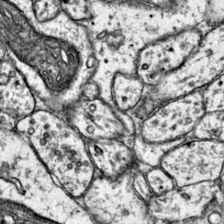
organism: Mouse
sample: Primary visual cortex